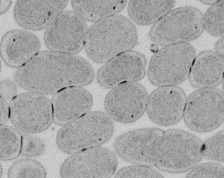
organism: E. coli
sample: Bacterial nucleoid